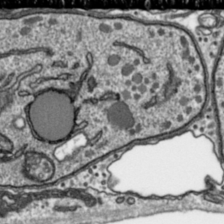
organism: Toxoplasma gondii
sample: Parasites in a vacuole inside a host cell